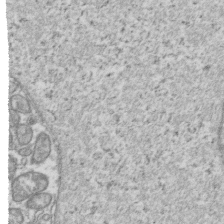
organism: Human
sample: Activated Jurkat CD4+ T cells